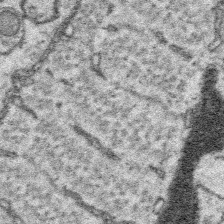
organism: Platynereis dumerilii